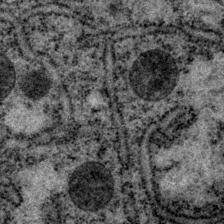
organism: P. pacificus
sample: Pharynx